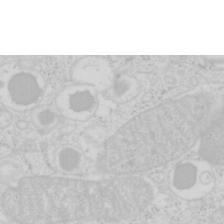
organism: Mouse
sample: Pancreas